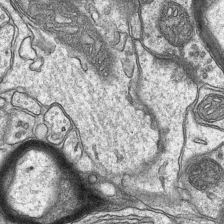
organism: Mouse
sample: CA1 Hippocampus